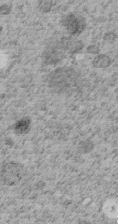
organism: C. elegans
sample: C. elegans embryo early stage